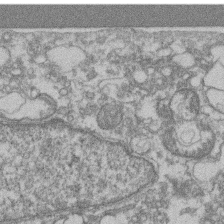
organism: Mouse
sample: T cell stromal cell synapse